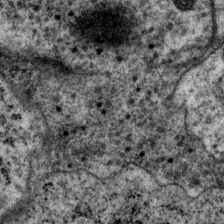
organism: P. pacificus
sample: Pharynx